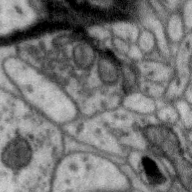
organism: Zebra finch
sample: Brain